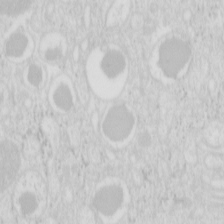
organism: Mouse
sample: Pancreas